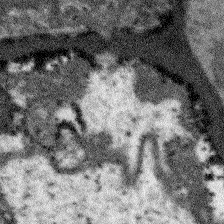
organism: Arabidopsis thaliana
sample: Root tip